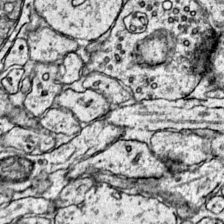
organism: Mouse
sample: Primary visual cortex